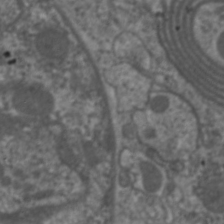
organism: C. elegans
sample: Pharynx